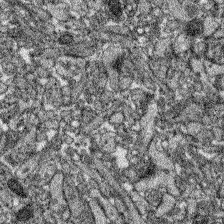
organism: Zebrafish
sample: Larval olfactory bulb